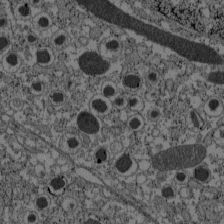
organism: C57BL Mouse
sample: Pancreatic islet